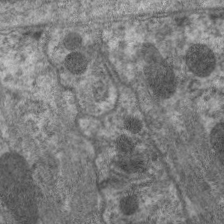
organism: C. elegans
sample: Pharynx